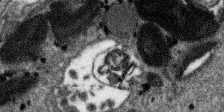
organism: Human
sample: Lung epithelial cells infected with SARS-CoV-2